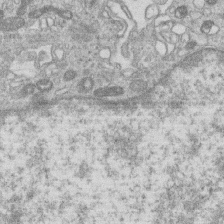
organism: Human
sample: Macrophage cells